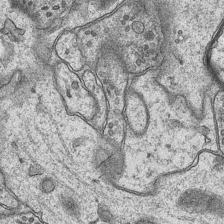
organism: Mouse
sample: CA1 Hippocampus